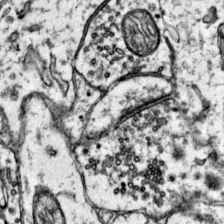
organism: Mouse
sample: Primary visual cortex